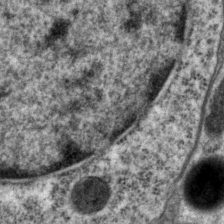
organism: P. pacificus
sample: Pharynx